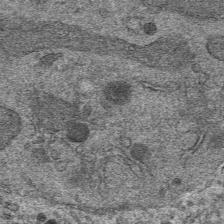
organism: Mouse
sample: Mouse hepatocytes